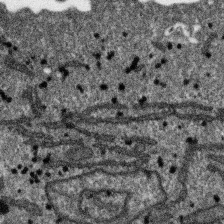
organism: Human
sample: Lung epithelial cells infected with SARS-CoV-2